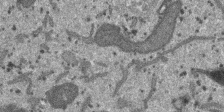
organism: Human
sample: Lung epithelial cells infected with SARS-CoV-2